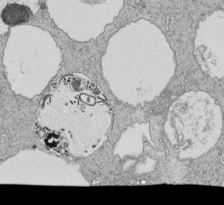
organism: Tetrahymena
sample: Cilia in tetrahymena